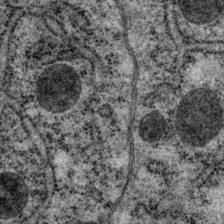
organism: P. pacificus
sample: Pharynx